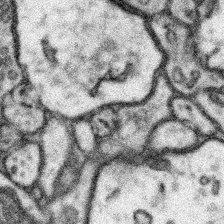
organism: Mouse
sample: Somatosensory cortex neuropil